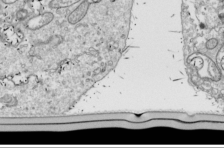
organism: Drosophila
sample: Cell division; meiosis; drosophila spermatocytes